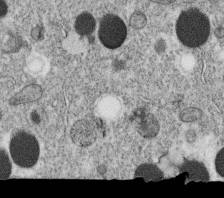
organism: C. elegans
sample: C. elegans oocyte; sperm cells